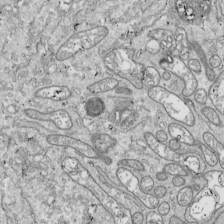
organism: Drosophila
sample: Cell division; meiosis; drosophila spermatocytes